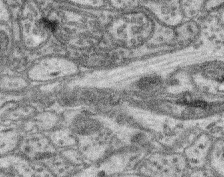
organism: Mouse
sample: Retina